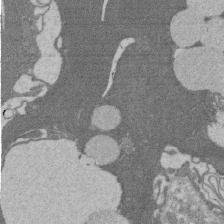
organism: Rat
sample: Salivary granule